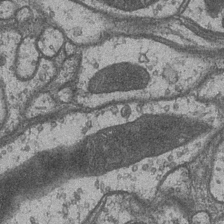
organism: Drosophila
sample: Optic medulla